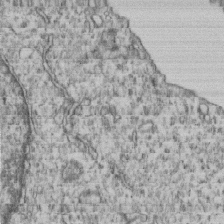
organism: Human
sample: MDA-MB-231 cells